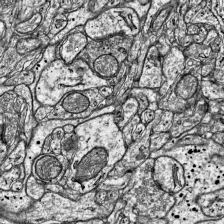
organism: Mouse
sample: Visual Cortex